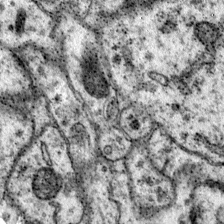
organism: Mouse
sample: Primary visual cortex